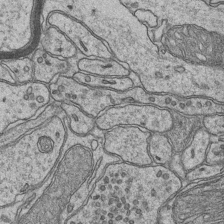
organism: Mouse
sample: CA1 Hippocampus